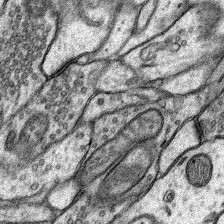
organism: Rat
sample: Hippocampus